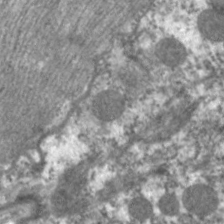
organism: C. elegans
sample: Pharynx